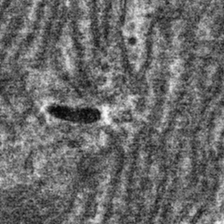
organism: Mouse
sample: Mouse hepatocytes